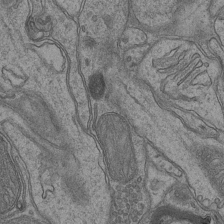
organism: Mouse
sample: CA1 Hippocampus